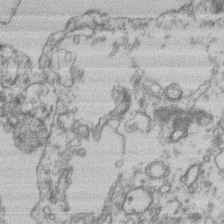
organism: Mouse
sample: T cell stromal cell synapse